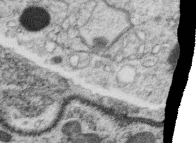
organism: C. elegans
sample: C. elegans oocyte; sperm cells